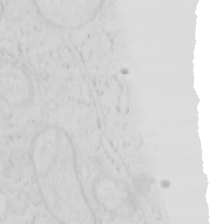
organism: Human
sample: SUM-159 cell